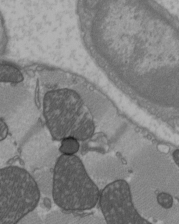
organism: C57BL Mouse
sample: Heart